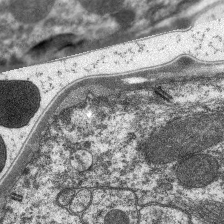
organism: C. elegans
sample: Pharynx